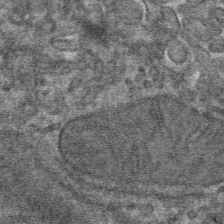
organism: Mouse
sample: Mouse hepatocytes